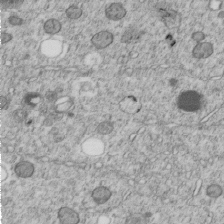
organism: C. elegans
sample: C. elegans embryo early stage